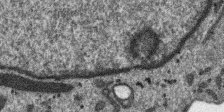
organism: Human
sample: Lung epithelial cells infected with SARS-CoV-2